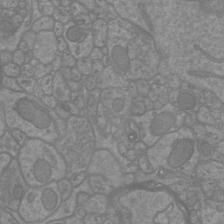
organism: Mouse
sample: Cortical neurons